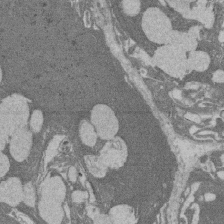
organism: Rat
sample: Salivary granule